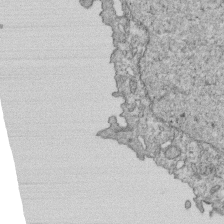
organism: Human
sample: HeLa cell HIV synapse